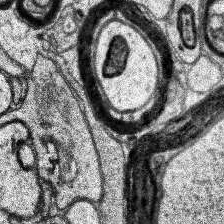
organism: Human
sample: Temporal Lobe